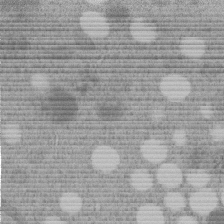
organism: C. elegans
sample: C. elegans embryo early stage